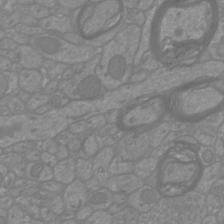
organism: Mouse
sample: Cortical neurons